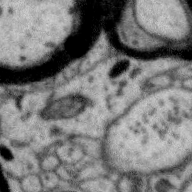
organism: Zebra finch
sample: Brain